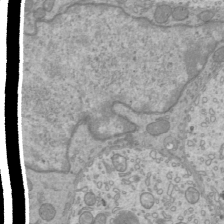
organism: Mouse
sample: Cilia; mouse epididymis